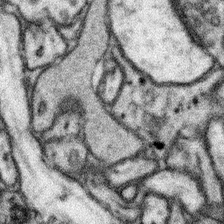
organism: Mouse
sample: Somatosensory cortex neuropil